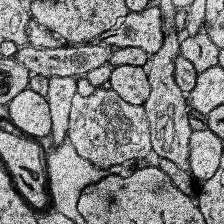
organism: Human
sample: Temporal Lobe